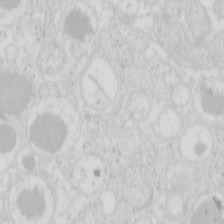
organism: Mouse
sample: Pancreas